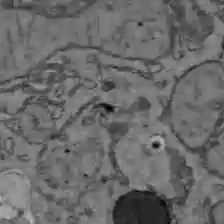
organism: C57BL Mouse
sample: Liver